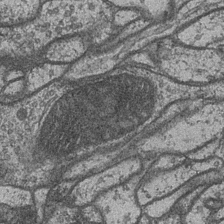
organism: Drosophila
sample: Optic medulla